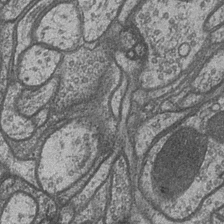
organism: Drosophila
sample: Optic medulla